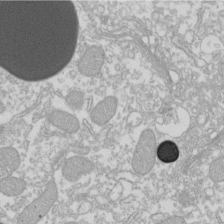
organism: Xenopus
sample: Cilia; centrioles in frog embryo cells